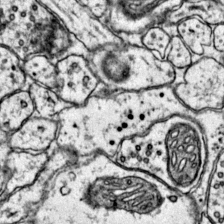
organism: Mouse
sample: Primary visual cortex